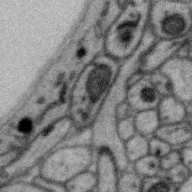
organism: Zebra finch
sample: Brain